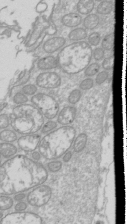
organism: Drosophila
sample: Cell division; meiosis; drosophila spermatocytes